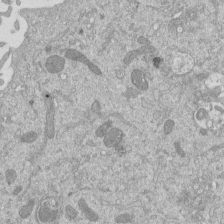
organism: Mouse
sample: ED-1 cell nuclei; centrioles